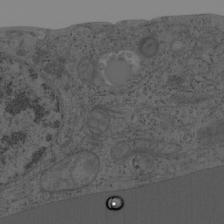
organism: Human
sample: HeLa cells